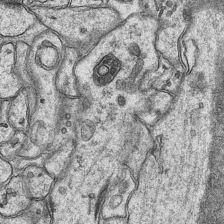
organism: Mouse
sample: CA1 Hippocampus